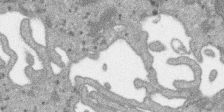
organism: Human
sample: Lung epithelial cells infected with SARS-CoV-2